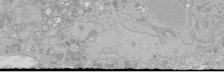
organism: Human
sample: Caco-2 cells